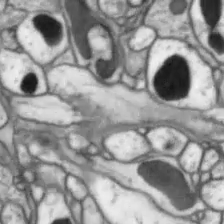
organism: Drosophila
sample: Optic lobe